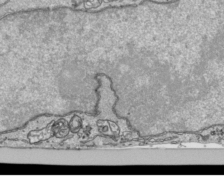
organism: Human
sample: Mitochondria in HCT116 cells